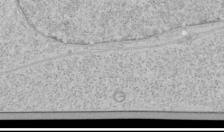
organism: Human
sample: Mitochondria in HCT116 cells